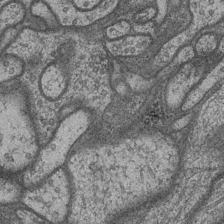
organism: Drosophila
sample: Optic medulla